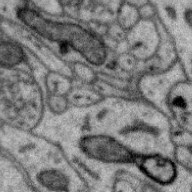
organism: Zebra finch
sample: Brain